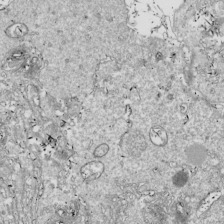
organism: Drosophila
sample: Cell division; meiosis; drosophila spermatocytes